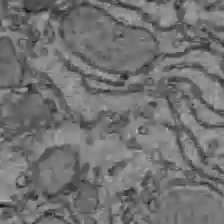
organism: C57BL Mouse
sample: Liver